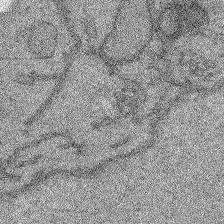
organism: Human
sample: HeLa cells